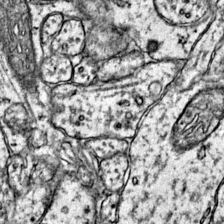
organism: Mouse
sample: Primary visual cortex